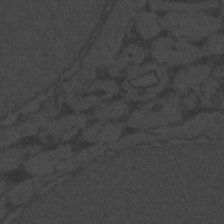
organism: Zebrafish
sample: Macrophage infected with Toxoplasma gondii